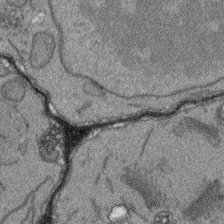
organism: Arabidopsis thaliana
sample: Root tip